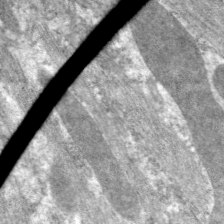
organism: C. elegans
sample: Pharynx